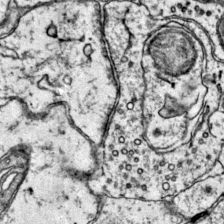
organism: Mouse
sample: Primary visual cortex